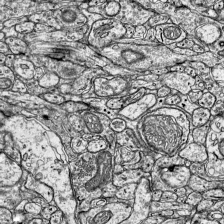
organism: Mouse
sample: Visual Cortex